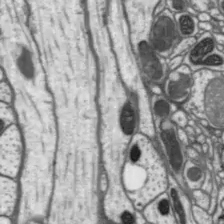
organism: Drosophila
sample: Protocerebral bridge